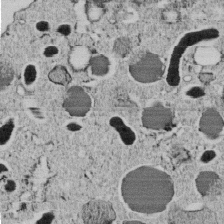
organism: C. elegans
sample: C. elegans embryo early stage